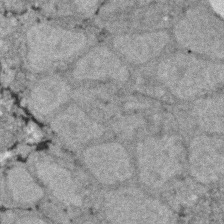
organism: Zebrafish